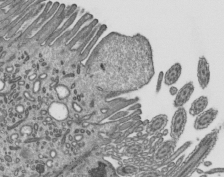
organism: Mouse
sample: Mouse epididymis efferent ductule cilia